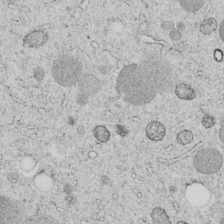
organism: C. elegans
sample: C. elegans embryo early stage